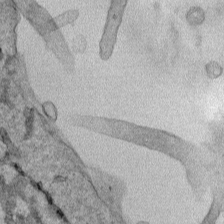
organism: Human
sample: Mitochondria in HCT116 cells